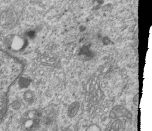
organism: Human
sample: MDA-MB-231 cells